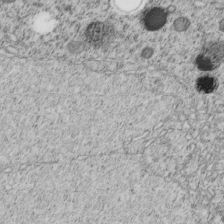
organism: C. elegans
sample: C. elegans embryo early stage